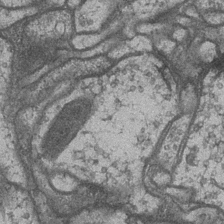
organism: Drosophila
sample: Optic medulla